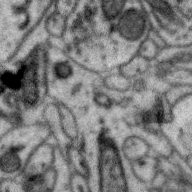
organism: Zebra finch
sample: Brain